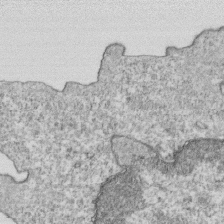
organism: Mouse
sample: Activated OT-1 CD8+ T cells